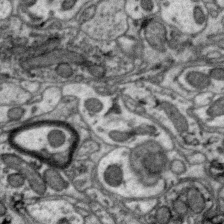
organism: Zebra finch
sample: Brain